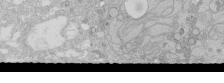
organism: Human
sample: Caco-2 cells